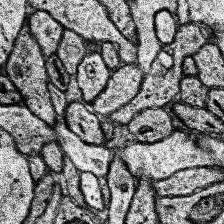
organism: Human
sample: Temporal Lobe